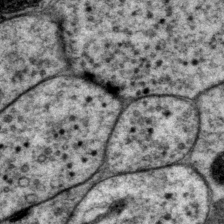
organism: P. pacificus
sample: Pharynx